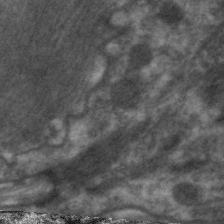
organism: C. elegans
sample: Pharynx